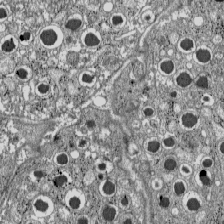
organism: C57BL Mouse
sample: Pancreatic islet